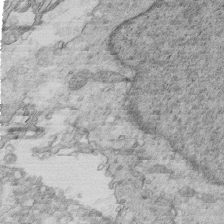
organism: Mouse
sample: Multiciliated cells